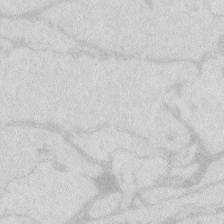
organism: Zebrafish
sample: Macrophage